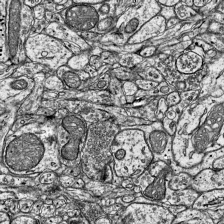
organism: Mouse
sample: Visual Cortex